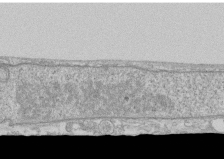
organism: Human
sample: CRL-1474